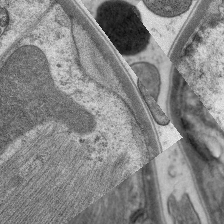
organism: C. elegans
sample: Pharynx